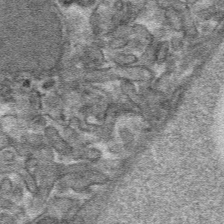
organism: Mouse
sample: Mouse hepatocytes